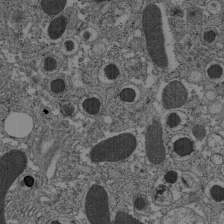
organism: C57BL Mouse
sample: Pancreatic islet